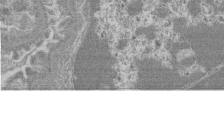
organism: Mouse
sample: Glomerulus